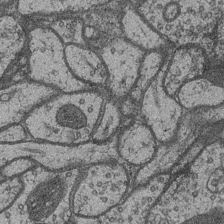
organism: Drosophila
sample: Optic medulla